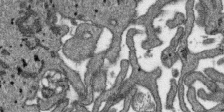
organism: Human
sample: Lung epithelial cells, uninfected (mock) control